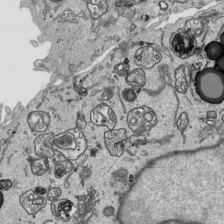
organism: Human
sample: Mitochondria in HCT116 cells